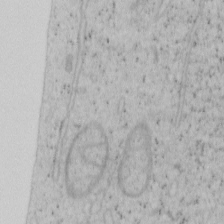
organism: Human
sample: HeLa cells